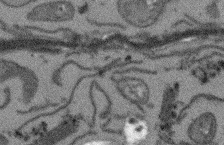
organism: Arabidopsis thaliana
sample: Root tip